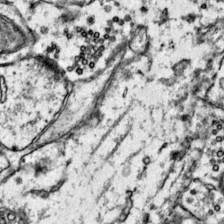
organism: Mouse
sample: Primary visual cortex